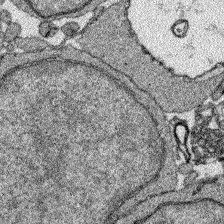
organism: Zebrafish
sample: Larval olfactory bulb